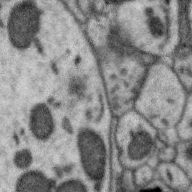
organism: Zebra finch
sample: Brain